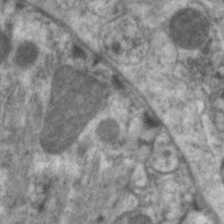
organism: C. elegans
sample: Pharynx